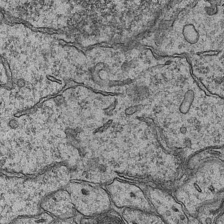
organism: Mouse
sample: CA1 Hippocampus